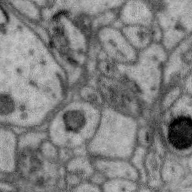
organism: Zebra finch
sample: Brain